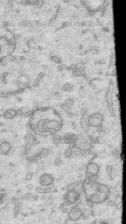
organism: Human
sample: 1205lu cells